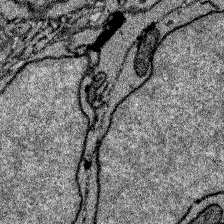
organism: Zebrafish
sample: Larval olfactory bulb